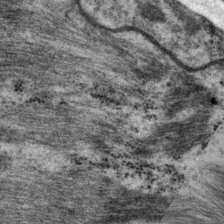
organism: P. pacificus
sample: Pharynx